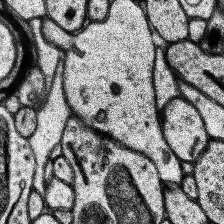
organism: Human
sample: Temporal Lobe